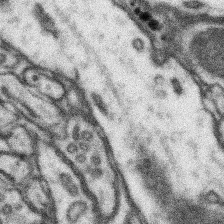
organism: Mouse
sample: Somatosensory cortex neuropil